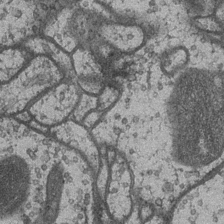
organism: Drosophila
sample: Optic medulla